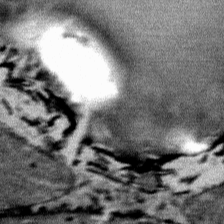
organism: Mouse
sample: Mouse Salivary gland